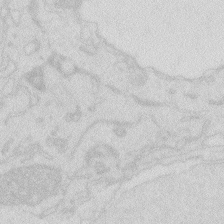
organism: Zebrafish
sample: Macrophage